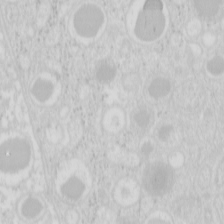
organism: Mouse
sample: Pancreas